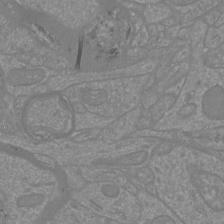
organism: Mouse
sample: Cortical neurons